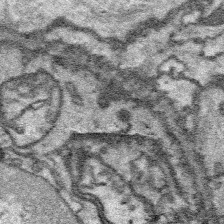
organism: Platynereis dumerilii